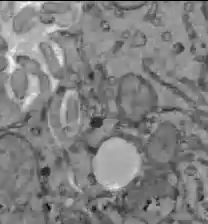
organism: C57BL Mouse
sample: Liver